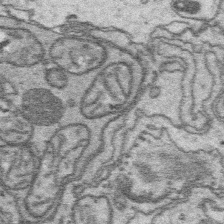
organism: Platynereis dumerilii